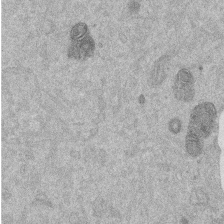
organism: Mouse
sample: Dividing mouse embryo 1 cell stage